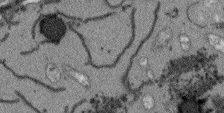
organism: Arabidopsis thaliana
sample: Root tip